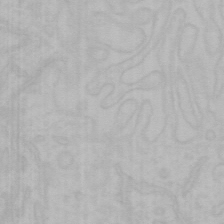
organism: Mouse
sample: Choroid plexus